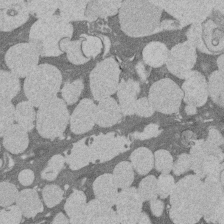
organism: Rat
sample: Salivary granule